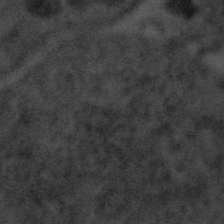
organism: Tuwongella immobilis